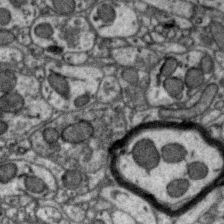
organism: Zebra finch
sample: Brain